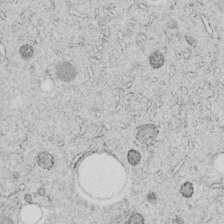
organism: C. elegans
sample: C. elegans embryo early stage